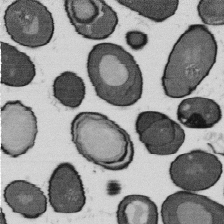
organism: B. subtilis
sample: Bacterial spore